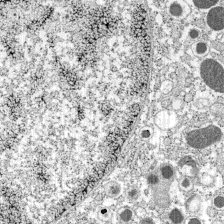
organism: C57BL Mouse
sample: Pancreatic islet